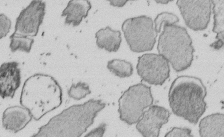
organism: E. coli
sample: Bacterial nucleoid